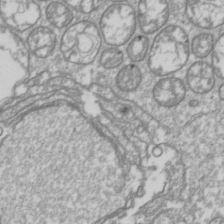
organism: Drosophila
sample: Cell division; meiosis; drosophila spermatocytes